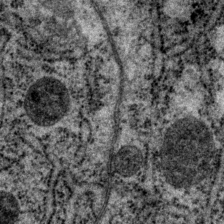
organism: P. pacificus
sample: Pharynx